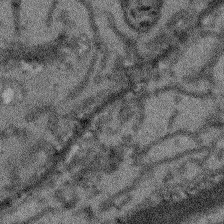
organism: Arabidopsis thaliana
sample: Root tip